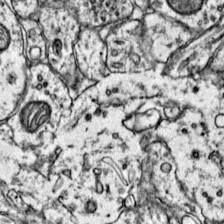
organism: Mouse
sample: Primary visual cortex